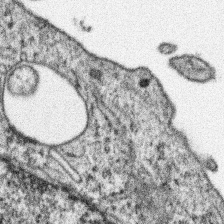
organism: Human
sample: HeLa cells